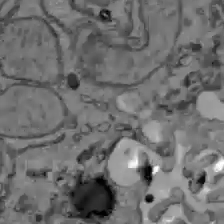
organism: C57BL Mouse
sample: Liver